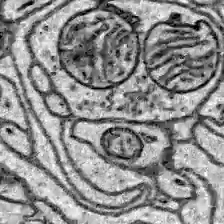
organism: Zebrafish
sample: Brain